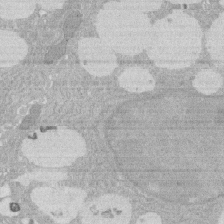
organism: Rat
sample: Salivary granule